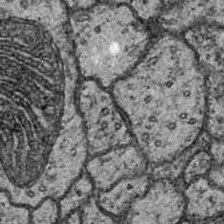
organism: Drosophila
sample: Ventral Nerve Cord